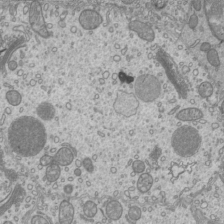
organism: Mouse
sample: Cilia; mouse epididymis